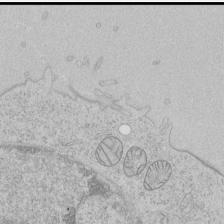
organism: Human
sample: Mitochondria in HCT116 cells